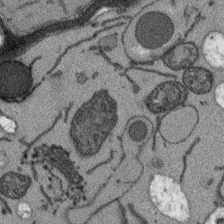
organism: Arabidopsis thaliana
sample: Root tip